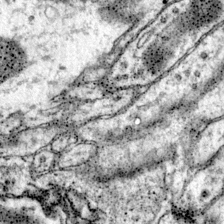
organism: Mouse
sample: Primary visual cortex